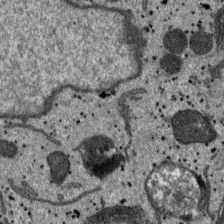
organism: Human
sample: Lung epithelial cells, uninfected (mock) control